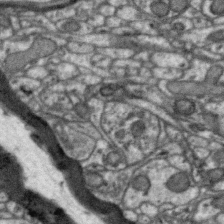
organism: Zebra finch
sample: Brain